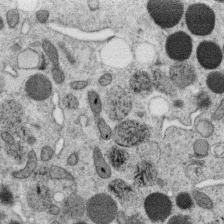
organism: C. elegans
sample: C. elegans oocyte; sperm cells